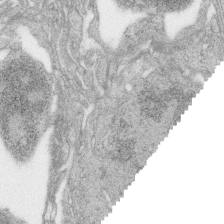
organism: Zebrafish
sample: synaptic ribbons in rod cells and cone cells